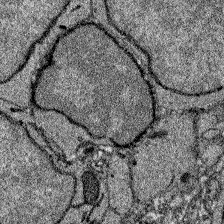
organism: Zebrafish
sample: Larval olfactory bulb